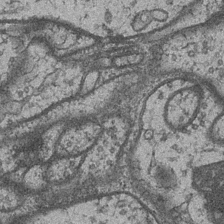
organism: Drosophila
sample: Optic medulla